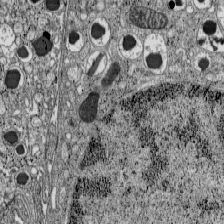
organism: C57BL Mouse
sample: Pancreatic islet